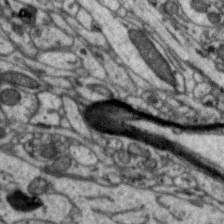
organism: Zebra finch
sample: Brain